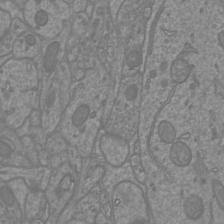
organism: Mouse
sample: Cortical neurons